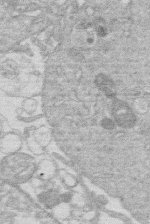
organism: Human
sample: Macrophage cells